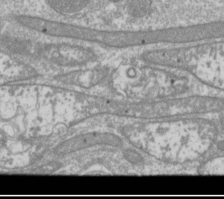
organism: Drosophila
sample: Cell division; meiosis; drosophila spermatocytes